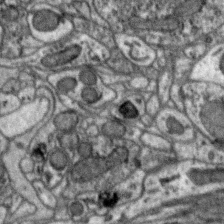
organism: Zebra finch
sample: Brain